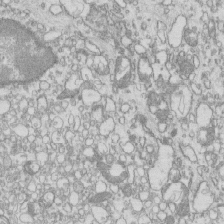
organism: Mouse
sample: Macrophages